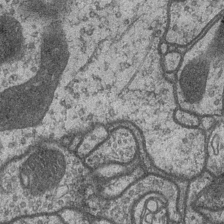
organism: Drosophila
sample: Optic medulla